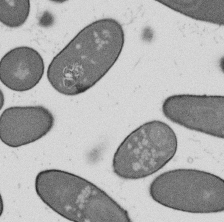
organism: B. subtilis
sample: Bacterial spore